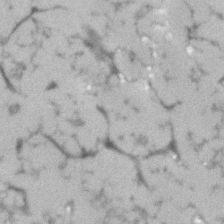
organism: Human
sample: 1205lu cells